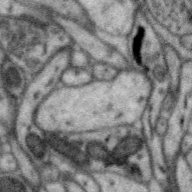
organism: Zebra finch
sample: Brain